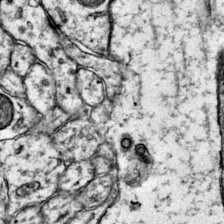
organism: Mouse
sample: Primary visual cortex